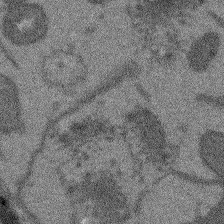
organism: Arabidopsis thaliana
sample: Root tip